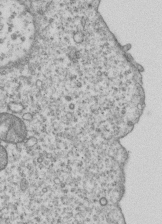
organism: Human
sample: MDA-MB-231 cells